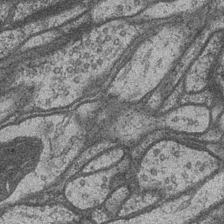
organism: Drosophila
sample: Optic medulla